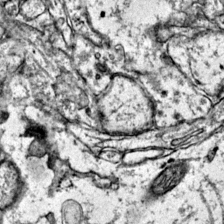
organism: Mouse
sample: Primary visual cortex